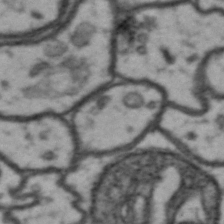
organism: Drosophila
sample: Brain